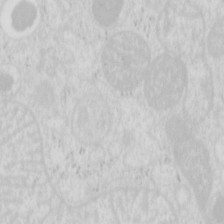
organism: Mouse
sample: Pancreas